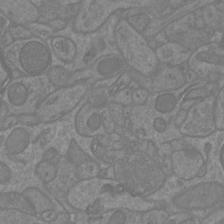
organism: Mouse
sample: Cortical neurons